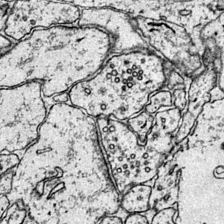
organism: Mouse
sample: Primary visual cortex